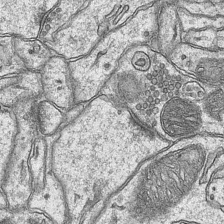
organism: Mouse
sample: CA1 Hippocampus